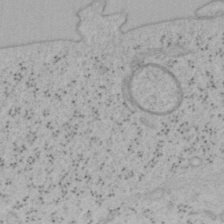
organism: Human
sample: HeLa cells